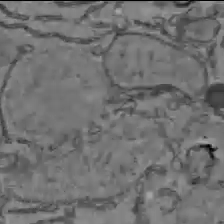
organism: C57BL Mouse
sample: Liver